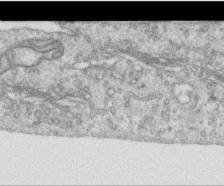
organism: Human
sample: Centriole in RPE cells